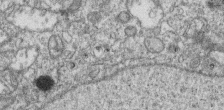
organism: Human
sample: HeLa cell HIV synapse